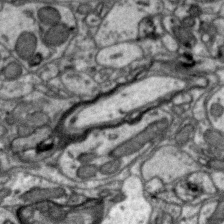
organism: Zebra finch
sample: Brain